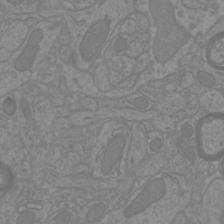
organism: Mouse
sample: Cortical neurons